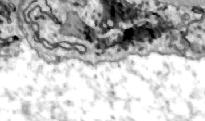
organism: Zebrafish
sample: Actinotrichia fibers